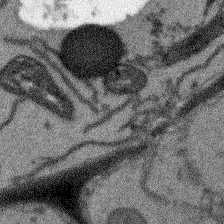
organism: Arabidopsis thaliana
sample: Root tip